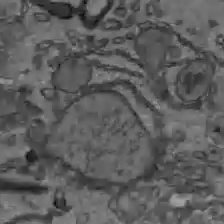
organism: C57BL Mouse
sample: Liver